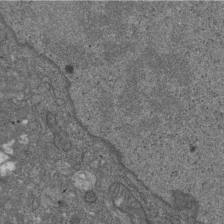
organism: Drosophila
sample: Nephrocyte